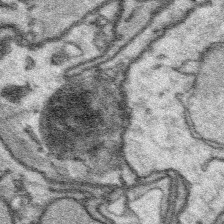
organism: Platynereis dumerilii